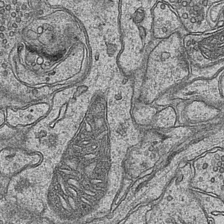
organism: Mouse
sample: CA1 Hippocampus